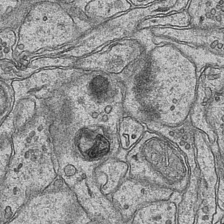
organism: Mouse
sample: CA1 Hippocampus